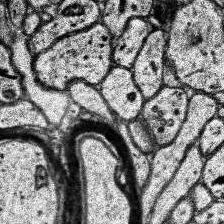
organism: Human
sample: Temporal Lobe